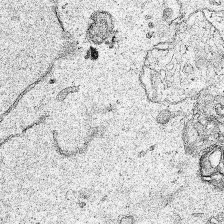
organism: Human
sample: Mitochondria in HCT116 cells